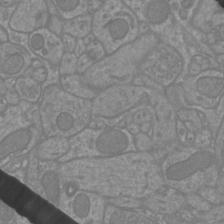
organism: Mouse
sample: Cortical neurons